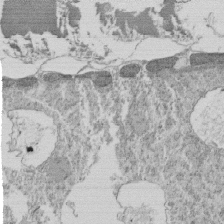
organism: Tetrahymena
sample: Cilia in tetrahymena